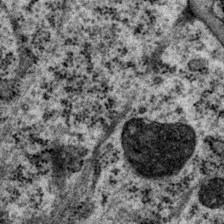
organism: P. pacificus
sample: Pharynx